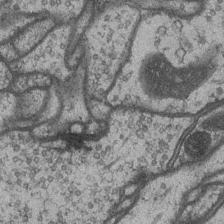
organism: Drosophila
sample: Optic medulla